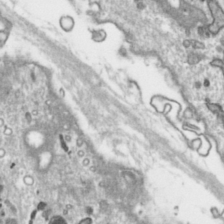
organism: Toxoplasma gondii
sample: Parasites in a vacuole inside a host cell